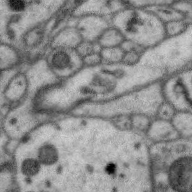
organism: Zebra finch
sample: Brain